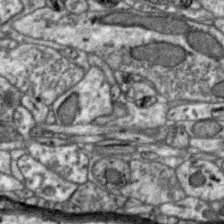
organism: Zebra finch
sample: Brain